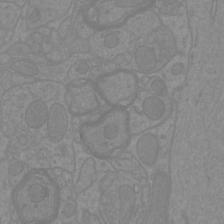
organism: Mouse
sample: Cortical neurons